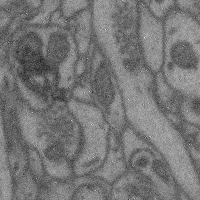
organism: Mouse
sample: Cerebral cortex